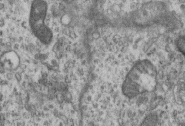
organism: Mouse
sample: Centriole in ependymal cells